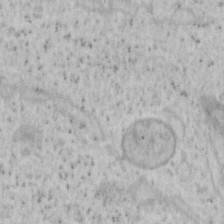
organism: Human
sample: HeLa cells